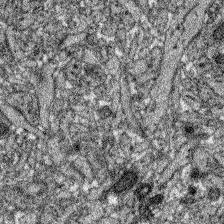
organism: Zebrafish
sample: Larval olfactory bulb